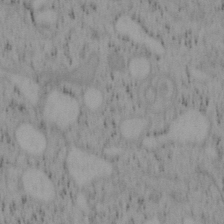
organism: Mouse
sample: OT-I killer T cells with ID8 ovarian cancer cells